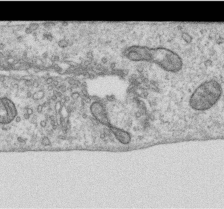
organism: Human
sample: Centriole in RPE cells